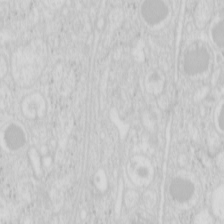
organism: Mouse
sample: Pancreas